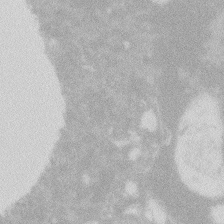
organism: Zebrafish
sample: Macrophage